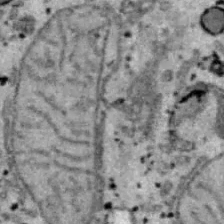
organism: Mouse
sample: Liver from an obese (ob/ob) mouse